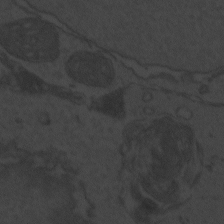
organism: Zebrafish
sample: Macrophage infected with Toxoplasma gondii